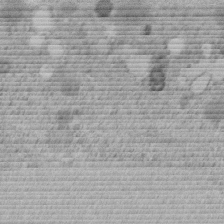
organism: C. elegans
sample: C. elegans embryo early stage